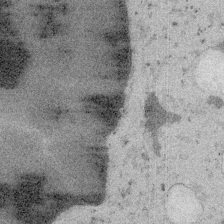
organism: Embia sp.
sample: Silk gland